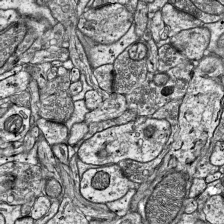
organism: Mouse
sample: Visual Cortex